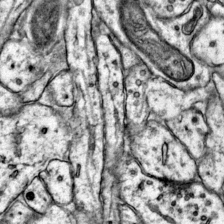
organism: Mouse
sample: Primary visual cortex